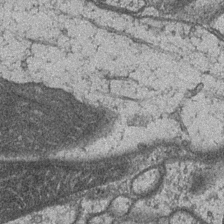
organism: Drosophila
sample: Optic medulla